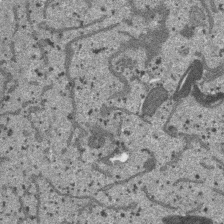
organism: Human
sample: Lung epithelial cells infected with SARS-CoV-2